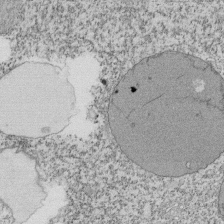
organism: Tetrahymena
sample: Cilia in tetrahymena